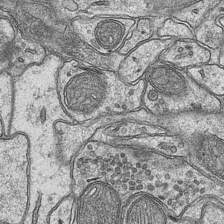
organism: Mouse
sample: CA1 Hippocampus